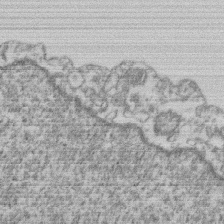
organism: Mouse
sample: T cell stromal cell synapse